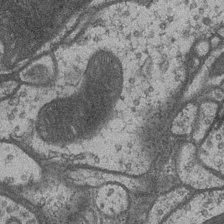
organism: Drosophila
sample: Optic medulla